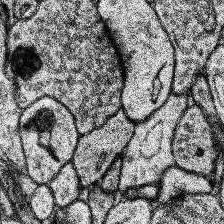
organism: Human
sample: Temporal Lobe